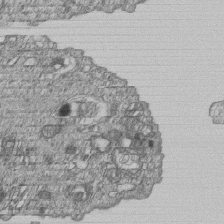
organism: Human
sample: MDA-MB-231 cells